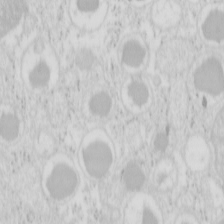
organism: Mouse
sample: Pancreas